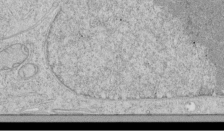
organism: Human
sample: Mitochondria in HCT116 cells